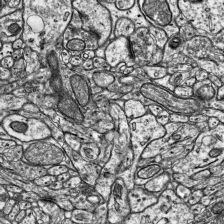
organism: Mouse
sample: Visual Cortex